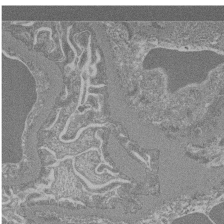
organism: Mouse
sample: Glomerulus